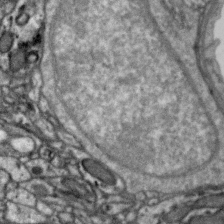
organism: Zebra finch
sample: Brain